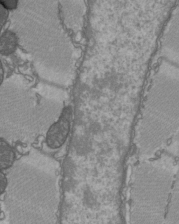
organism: C57BL Mouse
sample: Heart